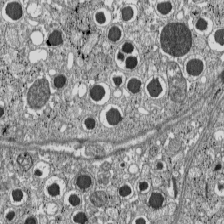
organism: C57BL Mouse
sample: Pancreatic islet